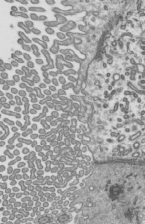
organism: Mouse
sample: Mouse epididymis efferent ductule cilia